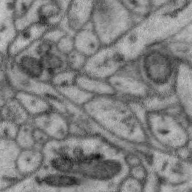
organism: Zebra finch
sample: Brain